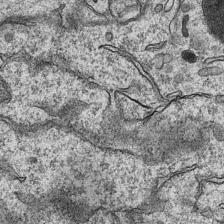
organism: Mouse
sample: CA1 Hippocampus